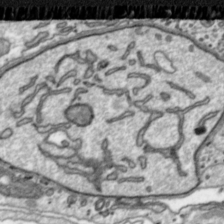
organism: Toxoplasma gondii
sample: Parasites in a vacuole inside a host cell